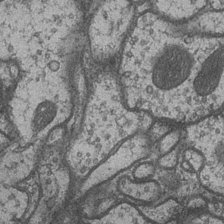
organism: Drosophila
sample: Optic medulla